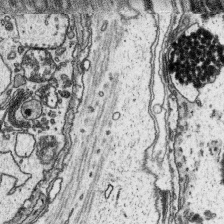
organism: Platynereis dumerilii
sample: Parapodia